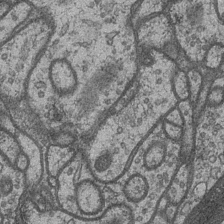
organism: Drosophila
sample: Optic medulla